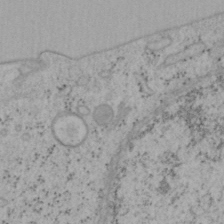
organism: Human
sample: HeLa cells